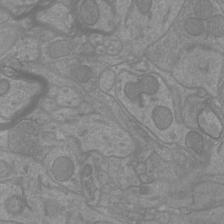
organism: Mouse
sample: Cortical neurons